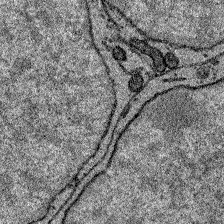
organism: Zebrafish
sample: Larval olfactory bulb